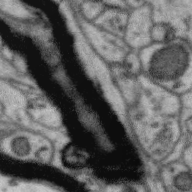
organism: Zebra finch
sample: Brain